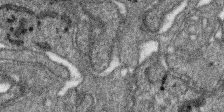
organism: Human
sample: Lung epithelial cells infected with SARS-CoV-2